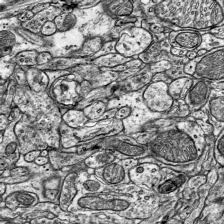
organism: Mouse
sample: Visual Cortex